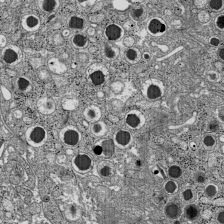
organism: C57BL Mouse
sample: Pancreatic islet